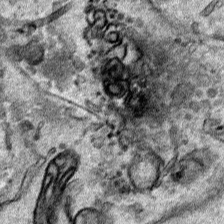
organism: Human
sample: Mitochondria in HCT116 cells